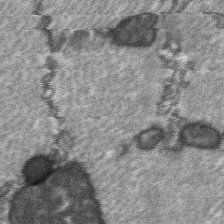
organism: C57BL Mouse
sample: Soleus